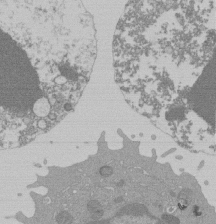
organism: Mouse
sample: Activated Pmel transgenic CD8+ T Cells